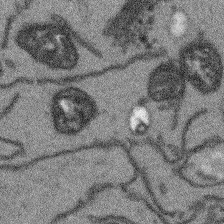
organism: Arabidopsis thaliana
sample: Root tip